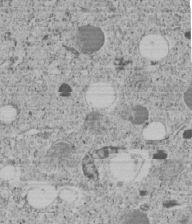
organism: C. elegans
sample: C. elegans embryo early stage